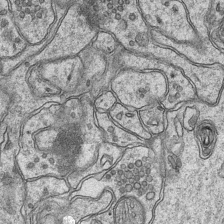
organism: Mouse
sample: CA1 Hippocampus